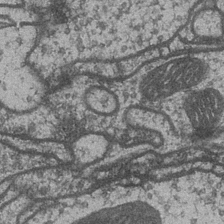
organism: Drosophila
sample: Optic medulla